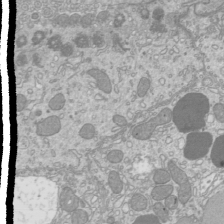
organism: Mouse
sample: Cilia; mouse epididymis